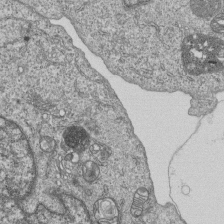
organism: Human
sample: MDA-MB-231 cells